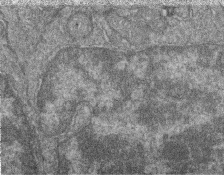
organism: Zebrafish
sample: Cilia; retinal pigment epithelium